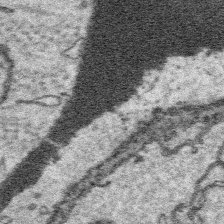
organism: Platynereis dumerilii